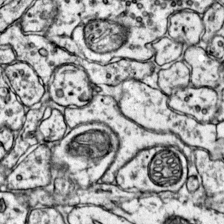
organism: Mouse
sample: Primary visual cortex